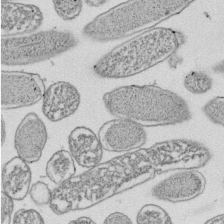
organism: E. coli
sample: Bacterial nucleoid